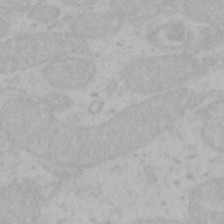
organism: Mouse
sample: Choroid plexus